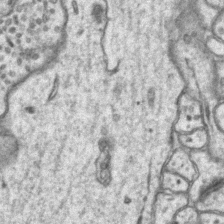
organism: Mouse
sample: CA1 Hippocampus